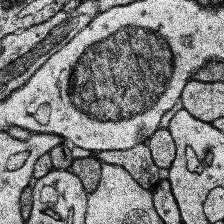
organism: Human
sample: Temporal Lobe